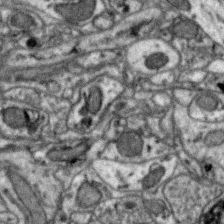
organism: Zebra finch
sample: Brain